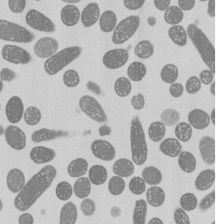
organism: E. coli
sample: Bacterial nucleoid